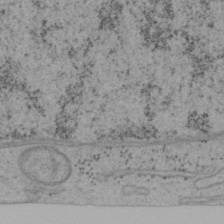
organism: Human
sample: HeLa cells